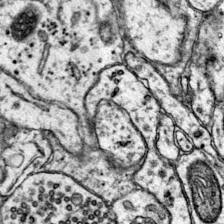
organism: Mouse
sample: Primary visual cortex